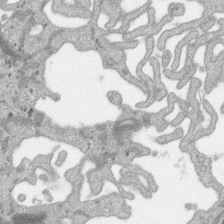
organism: Human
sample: Lung epithelial cells infected with SARS-CoV-2